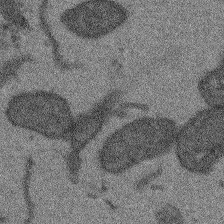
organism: Arabidopsis thaliana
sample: Root tip